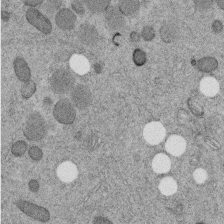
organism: C. elegans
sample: C. elegans embryo early stage